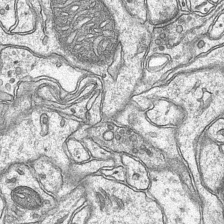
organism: Mouse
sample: CA1 Hippocampus